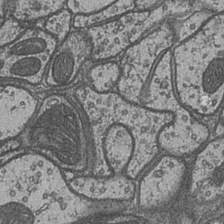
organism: Drosophila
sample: Optic medulla